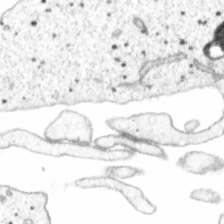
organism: Human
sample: HeLa cells